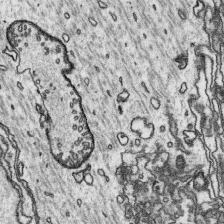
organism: Platynereis dumerilii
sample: Parapodia